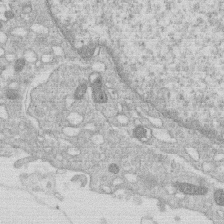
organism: Human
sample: Macrophage cells